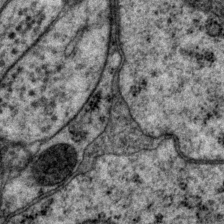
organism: P. pacificus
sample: Pharynx